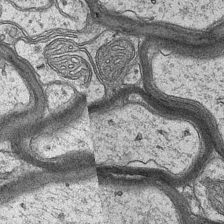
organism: Mouse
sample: CA1 Hippocampus